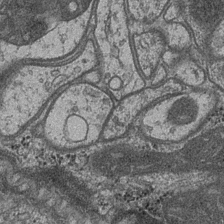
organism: Drosophila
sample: Optic medulla